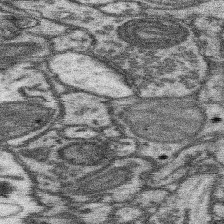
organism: Mouse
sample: Somatosensory cortex neuropil